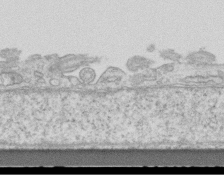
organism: Mouse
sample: Centriole in ependymal cells